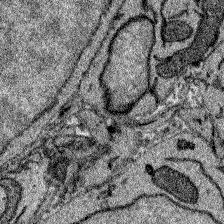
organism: Zebrafish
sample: Larval olfactory bulb